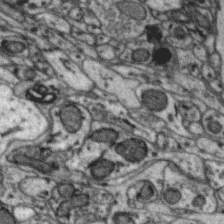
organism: Zebra finch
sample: Brain